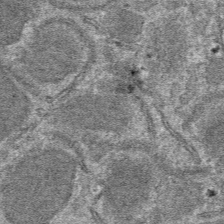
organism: Mouse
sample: Mouse hepatocytes